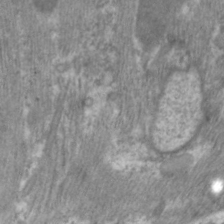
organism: C. elegans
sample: Pharynx